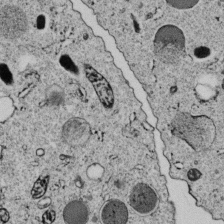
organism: C. elegans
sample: C. elegans embryo early stage